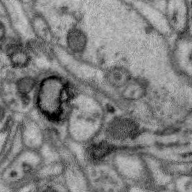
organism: Zebra finch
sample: Brain